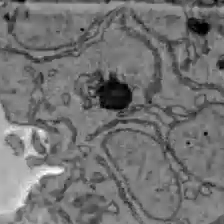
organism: C57BL Mouse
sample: Liver